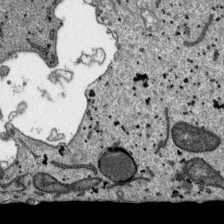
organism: Human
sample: Lung epithelial cells, uninfected (mock) control